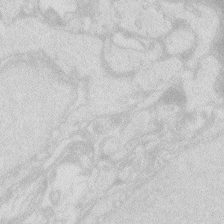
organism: Zebrafish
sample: Macrophage